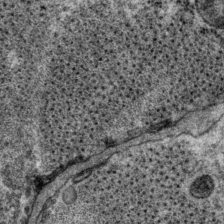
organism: P. pacificus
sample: Pharynx